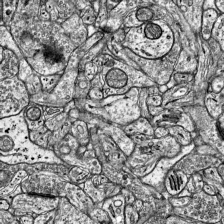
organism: Mouse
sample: Visual Cortex